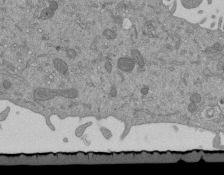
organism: Mouse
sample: ED-1 cell nuclei; centrioles